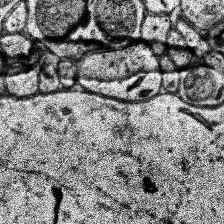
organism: Human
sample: Temporal Lobe